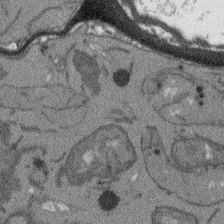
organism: Arabidopsis thaliana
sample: Root tip